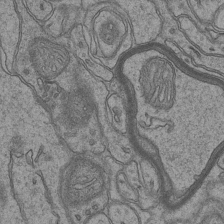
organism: Mouse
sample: CA1 Hippocampus